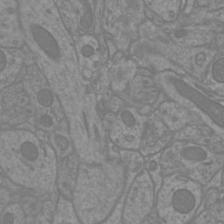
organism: Mouse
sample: Cortical neurons